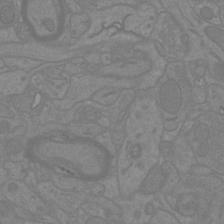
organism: Mouse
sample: Cortical neurons